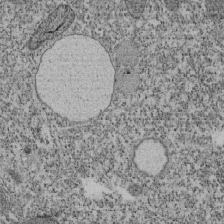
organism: Tetrahymena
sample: Cilia in tetrahymena